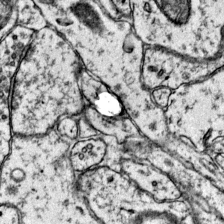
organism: Mouse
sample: Primary visual cortex